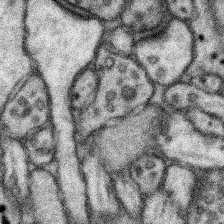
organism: Mouse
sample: Somatosensory cortex neuropil